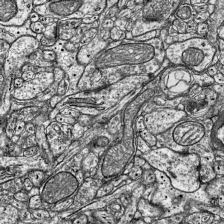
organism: Mouse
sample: Visual Cortex